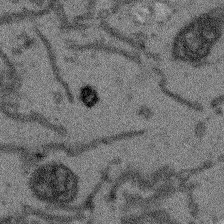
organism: Arabidopsis thaliana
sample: Root tip